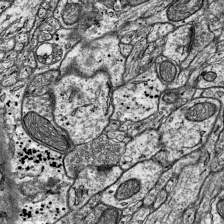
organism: Mouse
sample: Visual Cortex